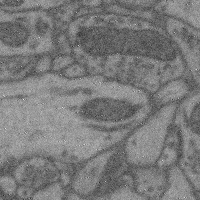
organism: Mouse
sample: Cerebral cortex